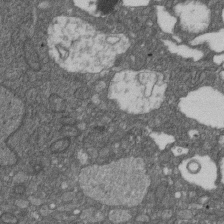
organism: Drosophila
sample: Nephrocyte